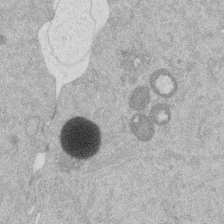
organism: Mouse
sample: Dividing mouse embryo 1 cell stage